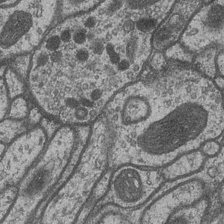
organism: Drosophila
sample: Optic medulla